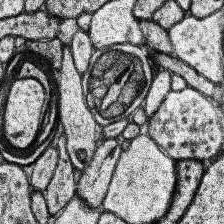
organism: Human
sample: Temporal Lobe